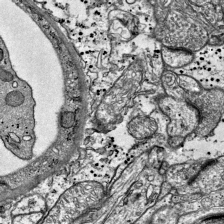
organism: Mouse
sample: Visual Cortex